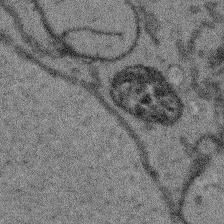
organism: Arabidopsis thaliana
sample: Root tip